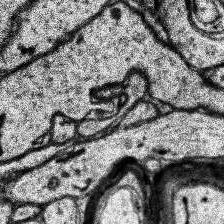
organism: Human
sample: Temporal Lobe